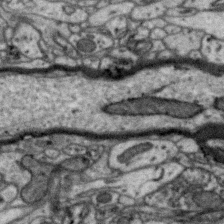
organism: Zebra finch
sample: Brain